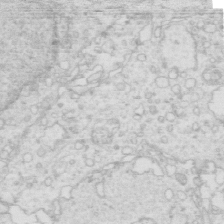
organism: Mouse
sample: Multiciliated cells